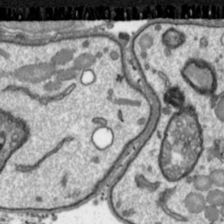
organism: Toxoplasma gondii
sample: Parasites in a vacuole inside a host cell